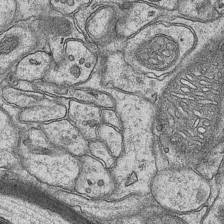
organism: Mouse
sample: CA1 Hippocampus